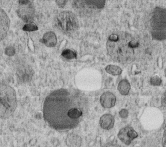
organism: C. elegans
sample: C. elegans embryo early stage